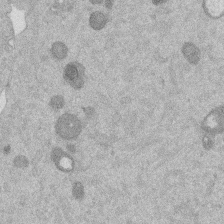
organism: Mouse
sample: Dividing mouse embryo 1 cell stage